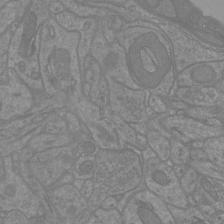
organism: Mouse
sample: Cortical neurons